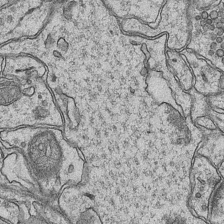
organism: Mouse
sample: CA1 Hippocampus